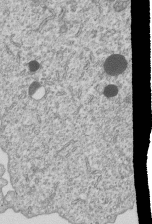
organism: Human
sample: MDA-MB-231 cells